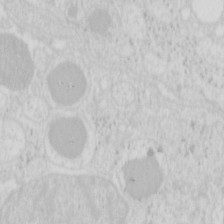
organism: Mouse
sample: Pancreas